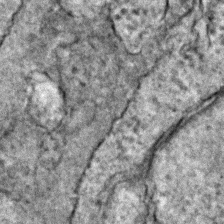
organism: Zebrafish